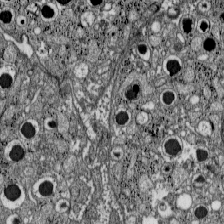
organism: C57BL Mouse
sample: Pancreatic islet